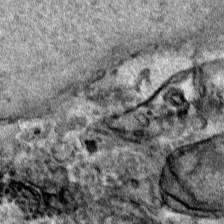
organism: Human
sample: Mitochondria in HCT116 cells